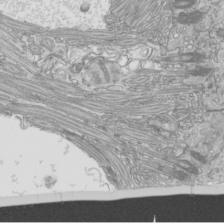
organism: Mouse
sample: Cilia; mouse epididymis